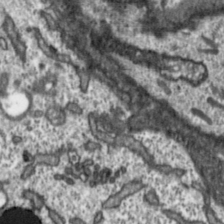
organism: Toxoplasma gondii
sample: Parasites in a vacuole inside a host cell